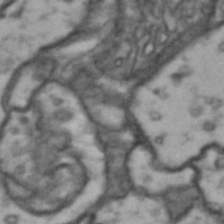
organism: Drosophila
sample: Brain